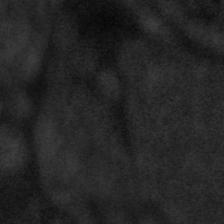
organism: Tuwongella immobilis